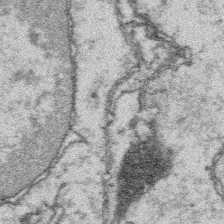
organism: Platynereis dumerilii